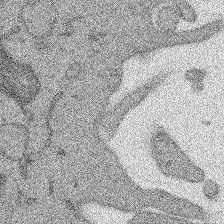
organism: Human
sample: HeLa cells